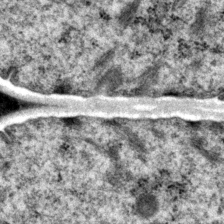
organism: P. pacificus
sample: Pharynx